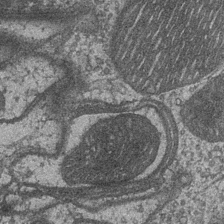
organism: Drosophila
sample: Optic medulla